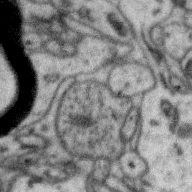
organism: Zebra finch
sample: Brain